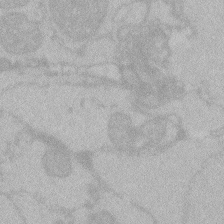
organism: Zebrafish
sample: Macrophage infected with Toxoplasma gondii